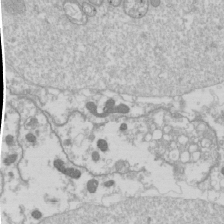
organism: Drosophila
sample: Cell division; meiosis; drosophila spermatocytes